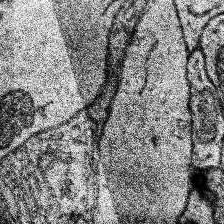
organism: Human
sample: Temporal Lobe